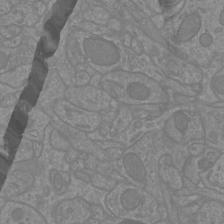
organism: Mouse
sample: Cortical neurons